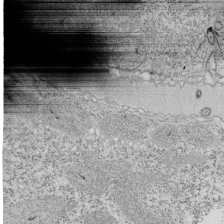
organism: Tetrahymena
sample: Cilia in tetrahymena